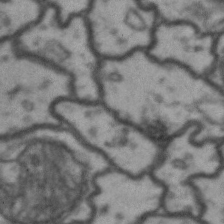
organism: Drosophila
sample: Brain